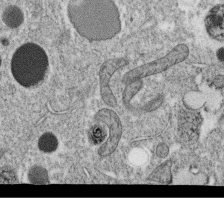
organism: C. elegans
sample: C. elegans oocyte; sperm cells